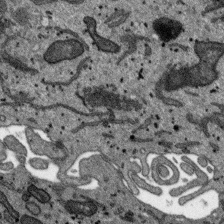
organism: Human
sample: Lung epithelial cells, uninfected (mock) control